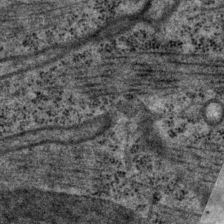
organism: P. pacificus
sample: Pharynx